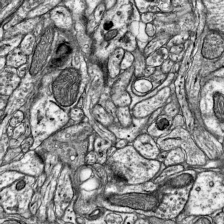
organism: Mouse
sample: Visual Cortex